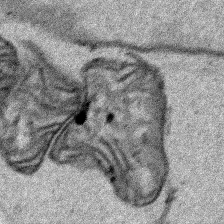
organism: Human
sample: Mitochondria in HCT116 cells